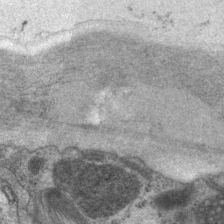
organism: P. pacificus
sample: Pharynx